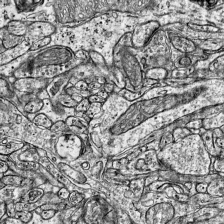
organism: Mouse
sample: Visual Cortex